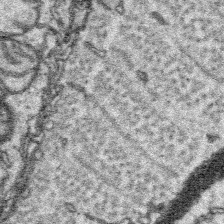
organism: Platynereis dumerilii